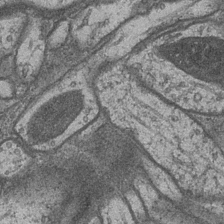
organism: Drosophila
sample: Optic medulla